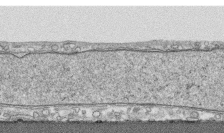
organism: Human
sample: CRL-1474